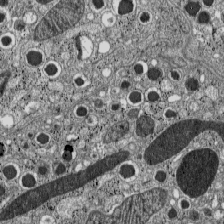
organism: C57BL Mouse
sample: Pancreatic islet